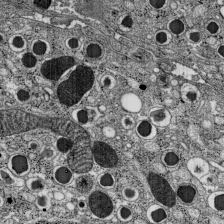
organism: C57BL Mouse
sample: Pancreatic islet